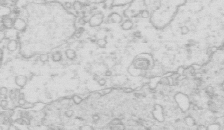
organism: Mouse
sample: Multiciliated cells